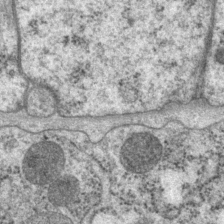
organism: P. pacificus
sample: Pharynx